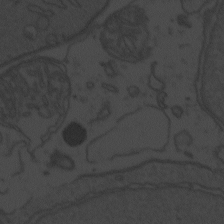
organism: Zebrafish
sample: Macrophage infected with Toxoplasma gondii